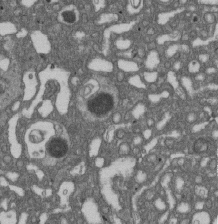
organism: Drosophila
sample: Nephrocyte